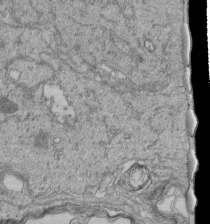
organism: Human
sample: Retinal organoid Rod and Cone cells